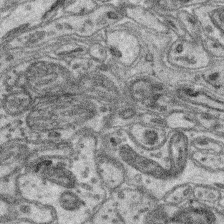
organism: Mouse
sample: Retina